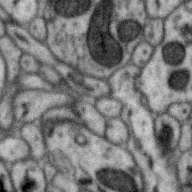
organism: Zebra finch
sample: Brain